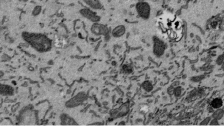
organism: Mouse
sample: ED-1 cell nuclei; centrioles